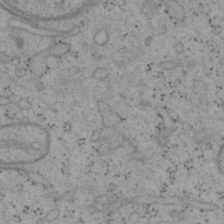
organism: Human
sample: HeLa cells